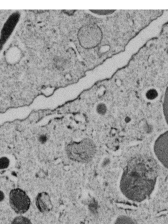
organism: C. elegans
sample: C. elegans embryo early stage